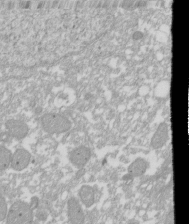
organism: Xenopus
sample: Cilia; centrioles in frog embryo cells